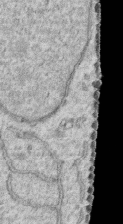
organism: Human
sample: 1205lu cells